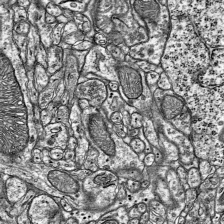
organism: Mouse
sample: Visual Cortex